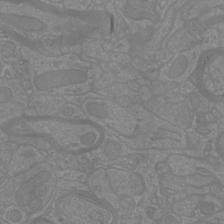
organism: Mouse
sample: Cortical neurons